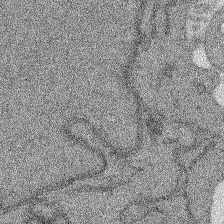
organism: Human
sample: HeLa cells